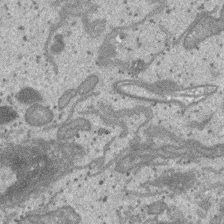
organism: Human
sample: Lung epithelial cells infected with SARS-CoV-2